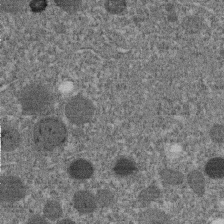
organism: C. elegans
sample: C. elegans embryo early stage